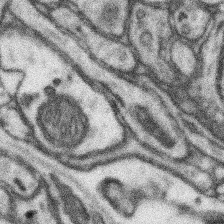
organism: Mouse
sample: Somatosensory cortex neuropil